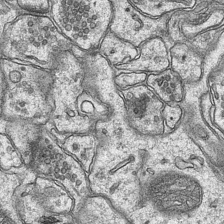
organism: Mouse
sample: CA1 Hippocampus